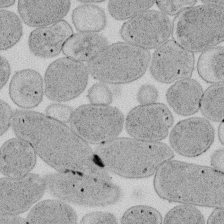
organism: E. coli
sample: Bacterial nucleoid